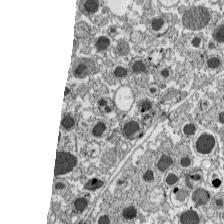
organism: C57BL Mouse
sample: Pancreatic islet